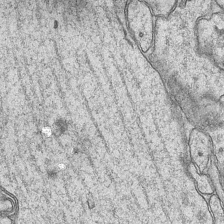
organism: Mouse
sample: CA1 Hippocampus